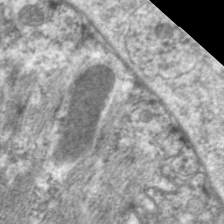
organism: C. elegans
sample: Pharynx